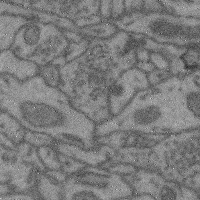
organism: Mouse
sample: Cerebral cortex